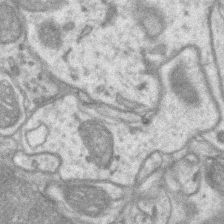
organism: Mouse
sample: CA1 Hippocampus